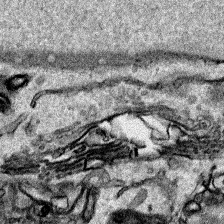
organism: Human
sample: Mitochondria in HCT116 cells